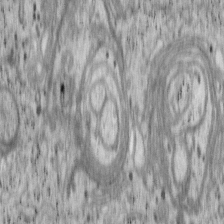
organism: Human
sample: HeLa cells